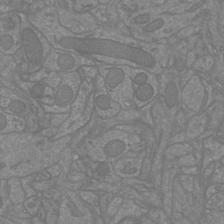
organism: Mouse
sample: Cortical neurons